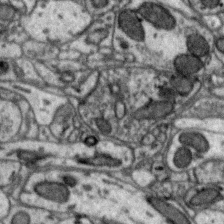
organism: Zebra finch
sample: Brain